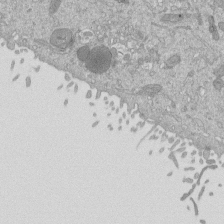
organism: Mouse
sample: ED-1 cell nuclei; centrioles